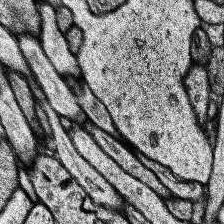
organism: Human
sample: Temporal Lobe